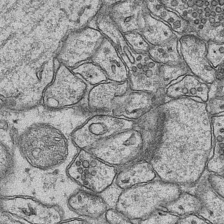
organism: Mouse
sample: CA1 Hippocampus